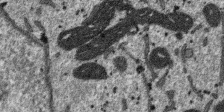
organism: Human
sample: Lung epithelial cells infected with SARS-CoV-2